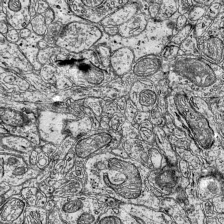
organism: Mouse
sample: Visual Cortex